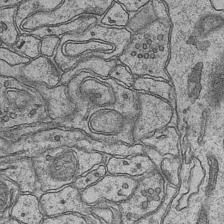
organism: Mouse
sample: CA1 Hippocampus